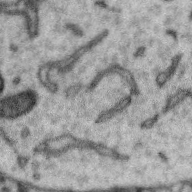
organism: Zebra finch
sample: Brain